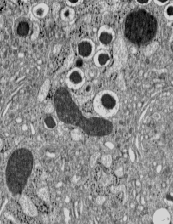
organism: C57BL Mouse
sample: Pancreatic islet